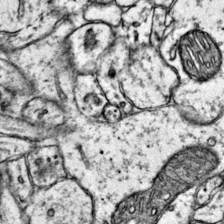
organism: Mouse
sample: Primary visual cortex